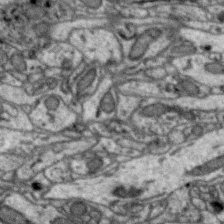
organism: Zebra finch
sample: Brain